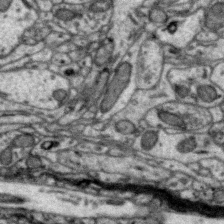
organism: Zebra finch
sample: Brain